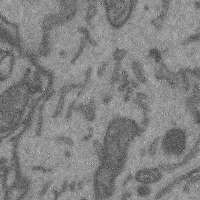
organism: Mouse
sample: Cerebral cortex